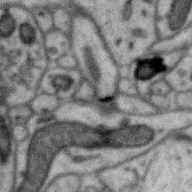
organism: Zebra finch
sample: Brain